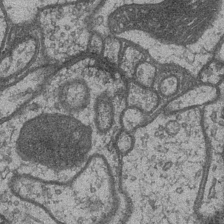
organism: Drosophila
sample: Optic medulla